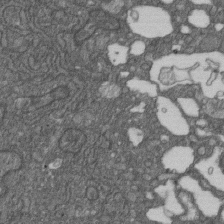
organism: Drosophila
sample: Nephrocyte